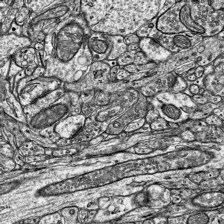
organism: Mouse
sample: Visual Cortex